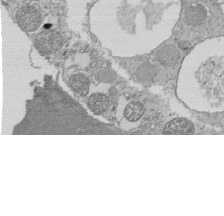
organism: Tetrahymena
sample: Cilia in tetrahymena